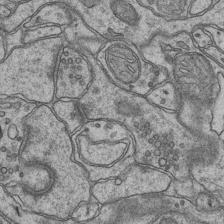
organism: Mouse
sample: CA1 Hippocampus